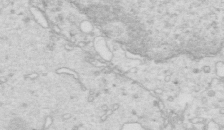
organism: Mouse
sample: Multiciliated cells